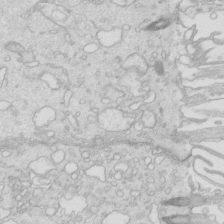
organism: Mouse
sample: Multiciliated cells